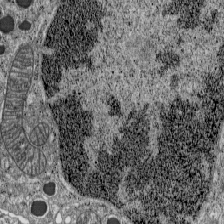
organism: C57BL Mouse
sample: Pancreatic islet